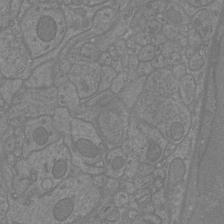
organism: Mouse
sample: Cortical neurons